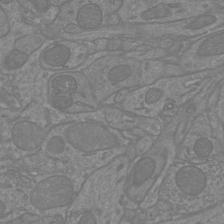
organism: Mouse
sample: Cortical neurons